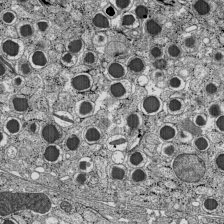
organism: C57BL Mouse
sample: Pancreatic islet